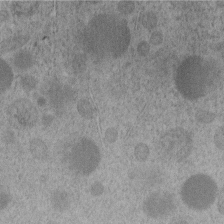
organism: C. elegans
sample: C. elegans embryo early stage